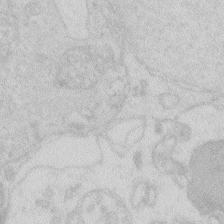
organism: Zebrafish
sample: Macrophage